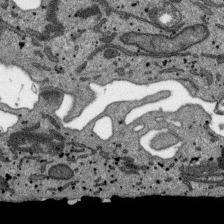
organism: Human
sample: Lung epithelial cells, uninfected (mock) control